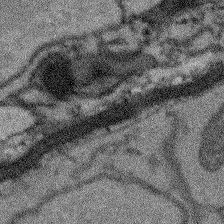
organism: Arabidopsis thaliana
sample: Root tip